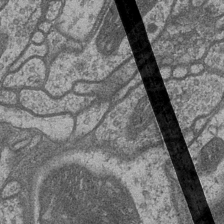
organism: Drosophila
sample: Optic medulla